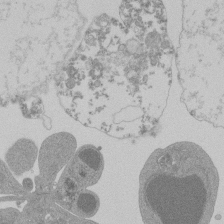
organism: Mouse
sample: Activated Pmel transgenic CD8+ T Cells